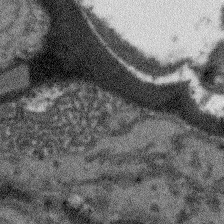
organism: Arabidopsis thaliana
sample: Root tip